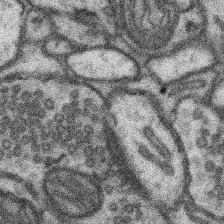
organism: Mouse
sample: Somatosensory cortex neuropil